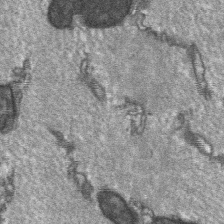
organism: C57BL Mouse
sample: Soleus